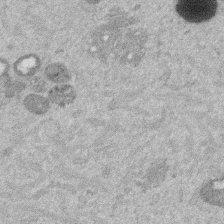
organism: Mouse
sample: Dividing mouse embryo 1 cell stage